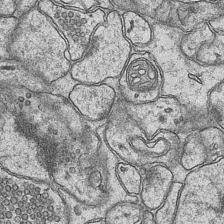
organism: Mouse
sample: CA1 Hippocampus